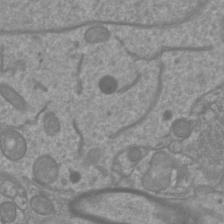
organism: Mouse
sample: Cortical neurons